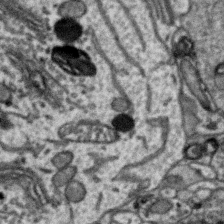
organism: Zebra finch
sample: Brain